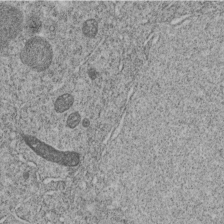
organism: C. elegans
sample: C. elegans embryo early stage